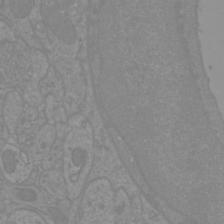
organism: Mouse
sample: Cortical neurons